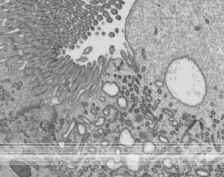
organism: Mouse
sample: Mouse epididymis efferent ductule cilia